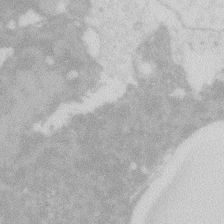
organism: Zebrafish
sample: Macrophage